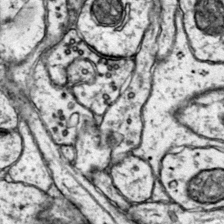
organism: Mouse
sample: Primary visual cortex